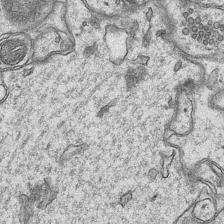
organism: Mouse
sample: CA1 Hippocampus